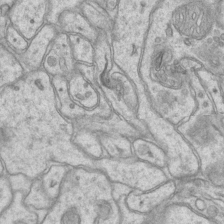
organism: Mouse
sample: CA1 Hippocampus